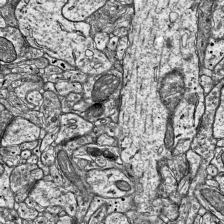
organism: Mouse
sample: Visual Cortex